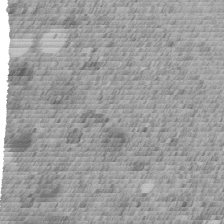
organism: C. elegans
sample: C. elegans embryo early stage